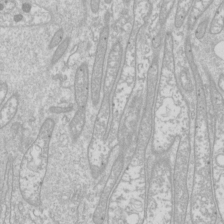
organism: Drosophila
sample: Cell division; meiosis; drosophila spermatocytes